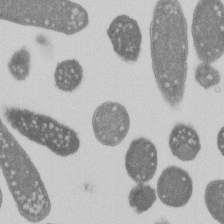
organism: E. coli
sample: Bacterial nucleoid